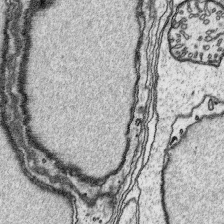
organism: Platynereis dumerilii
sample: Parapodia